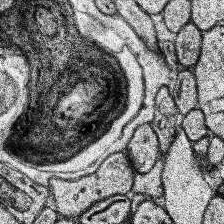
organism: Human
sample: Temporal Lobe